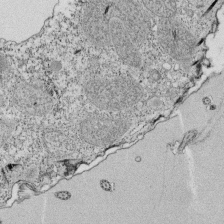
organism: Tetrahymena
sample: Cilia in tetrahymena